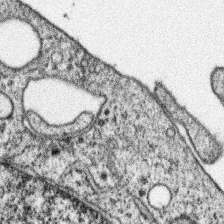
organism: Human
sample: HeLa cells